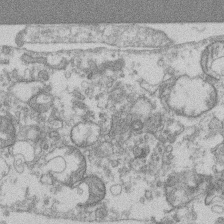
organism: Mouse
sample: T cell stromal cell synapse